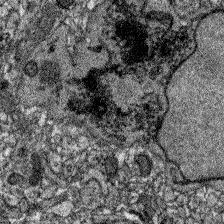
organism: Zebrafish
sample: Larval olfactory bulb